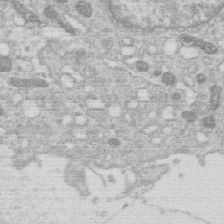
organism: Human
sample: Macrophage cells